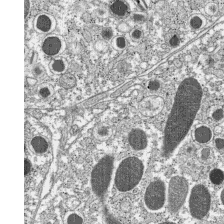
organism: C57BL Mouse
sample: Pancreatic islet